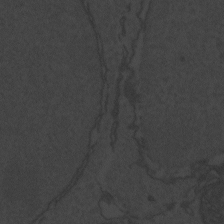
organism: Zebrafish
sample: Macrophage infected with Toxoplasma gondii